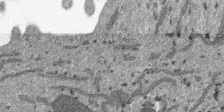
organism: Human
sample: Lung epithelial cells infected with SARS-CoV-2